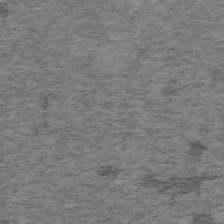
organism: Mouse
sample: OT-I killer T cells with ID8 ovarian cancer cells